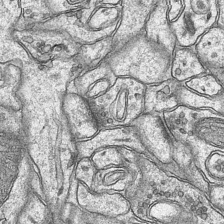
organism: Mouse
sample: CA1 Hippocampus